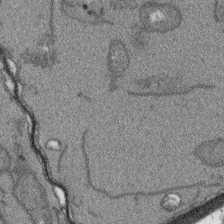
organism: Arabidopsis thaliana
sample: Root tip